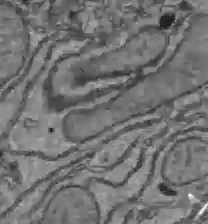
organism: C57BL Mouse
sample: Liver